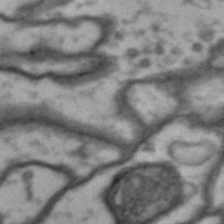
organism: Drosophila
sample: Brain